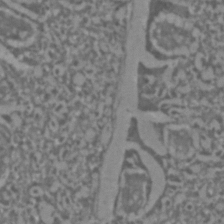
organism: C. elegans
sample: C. elegans embryo